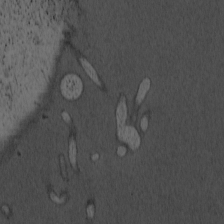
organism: African green monkey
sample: COS-7 cells